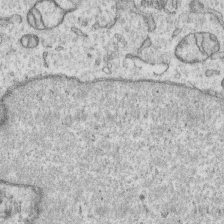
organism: Human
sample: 1205lu cells